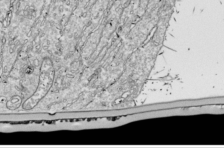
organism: Drosophila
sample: Cell division; meiosis; drosophila spermatocytes